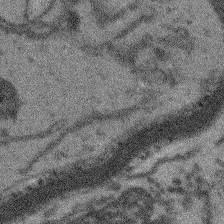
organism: Arabidopsis thaliana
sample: Root tip